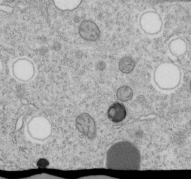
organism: C. elegans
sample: C. elegans embryo early stage